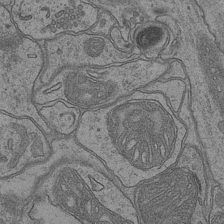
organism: Mouse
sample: CA1 Hippocampus